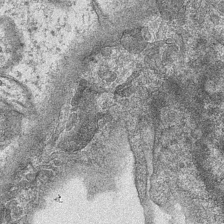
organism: Mouse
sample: CA1 Hippocampus